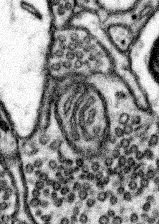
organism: Mouse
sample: Somatosensory cortex neuropil